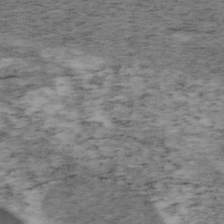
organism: Mouse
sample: OT-I killer T cells with ID8 ovarian cancer cells